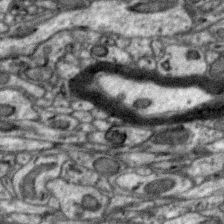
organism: Zebra finch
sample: Brain